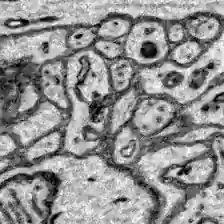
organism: Zebrafish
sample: Brain